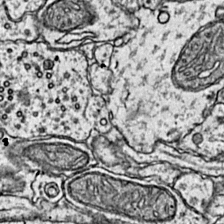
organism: Mouse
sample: Primary visual cortex